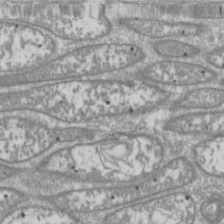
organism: Drosophila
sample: Cell division; meiosis; drosophila spermatocytes